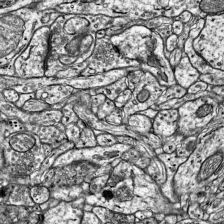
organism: Mouse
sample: Visual Cortex